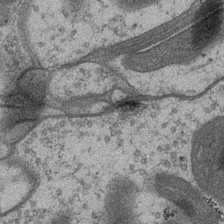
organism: Drosophila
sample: Optic medulla